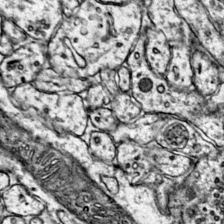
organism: Mouse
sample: Primary visual cortex